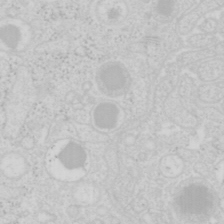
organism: Mouse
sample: Pancreas